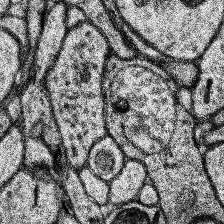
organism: Human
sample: Temporal Lobe